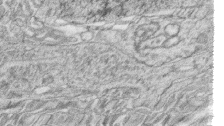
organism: Zebrafish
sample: synaptic ribbons in rod cells and cone cells